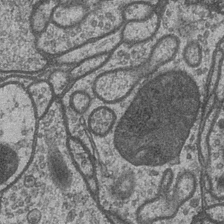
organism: Drosophila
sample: Optic medulla